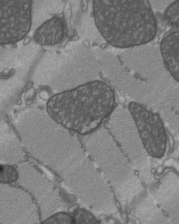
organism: C57BL Mouse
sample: Heart